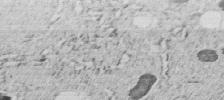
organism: C. elegans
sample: C. elegans embryo early stage